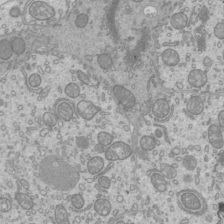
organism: Mouse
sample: Cilia; mouse epididymis